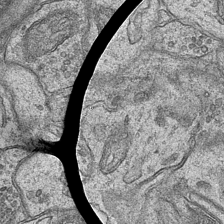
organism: Mouse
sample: CA1 Hippocampus